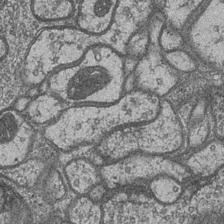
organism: Drosophila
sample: Optic medulla